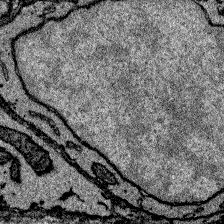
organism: Zebrafish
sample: Larval olfactory bulb